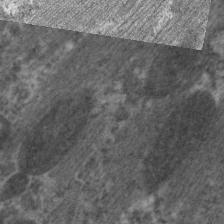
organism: C. elegans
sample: Pharynx